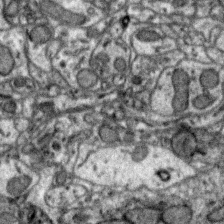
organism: Zebra finch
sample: Brain